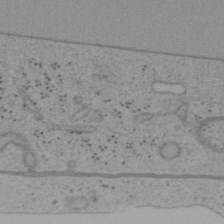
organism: Human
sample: HeLa cells